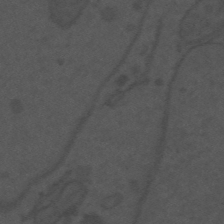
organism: Mouse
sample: Suprachiasmatic nucleus